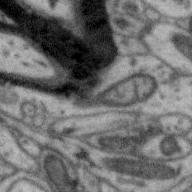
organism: Zebra finch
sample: Brain